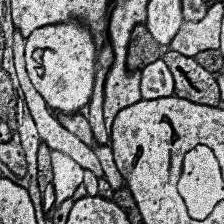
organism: Human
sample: Temporal Lobe